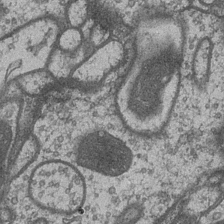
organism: Drosophila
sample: Optic medulla